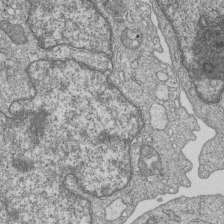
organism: Human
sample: MDA-MB-231 cells